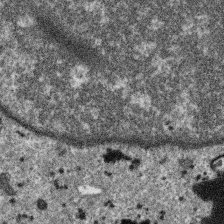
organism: Human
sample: Lung epithelial cells infected with SARS-CoV-2